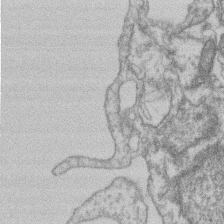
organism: Mouse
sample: T cell stromal cell synapse